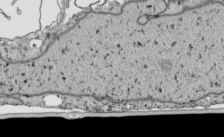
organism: Human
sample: Mitochondria in HCT116 cells